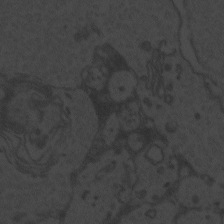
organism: Zebrafish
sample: Macrophage infected with Toxoplasma gondii